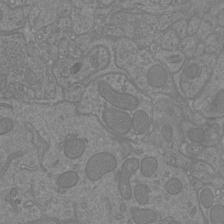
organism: Mouse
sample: Cortical neurons